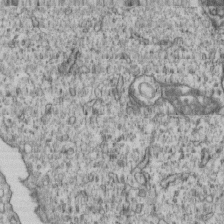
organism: Human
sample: MDA-MB-231 cells